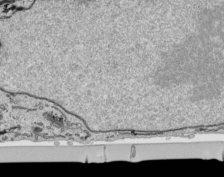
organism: Human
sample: Mitochondria in HCT116 cells